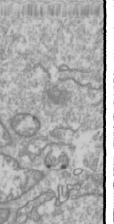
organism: Drosophila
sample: Cell division; meiosis; drosophila spermatocytes